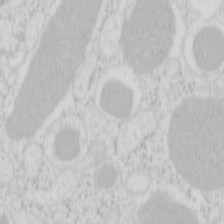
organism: Mouse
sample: Pancreas